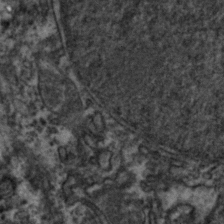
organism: Zebrafish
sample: Zebrafish embryo